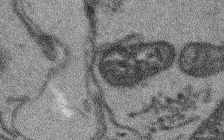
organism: Arabidopsis thaliana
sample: Root tip